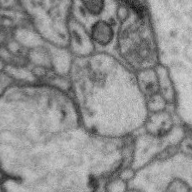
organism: Zebra finch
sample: Brain